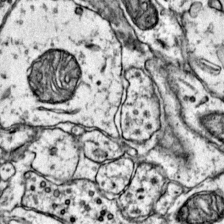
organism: Mouse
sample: Primary visual cortex